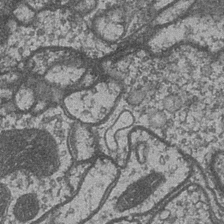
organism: Drosophila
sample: Optic medulla